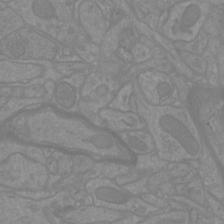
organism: Mouse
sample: Cortical neurons